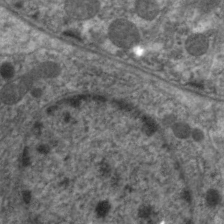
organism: C. elegans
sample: Pharynx